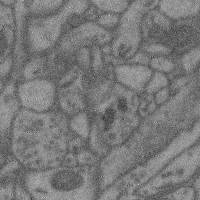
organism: Mouse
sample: Cerebral cortex